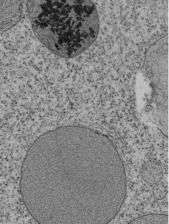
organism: Tetrahymena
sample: Cilia in tetrahymena